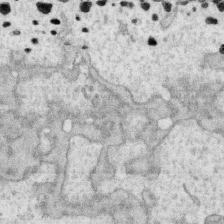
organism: Human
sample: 1205lu cells